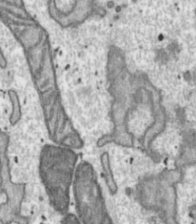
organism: Toxoplasma gondii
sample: Parasites in a vacuole inside a host cell